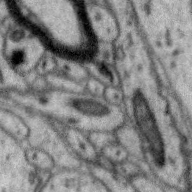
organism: Zebra finch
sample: Brain